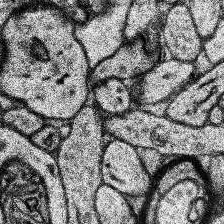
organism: Human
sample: Temporal Lobe